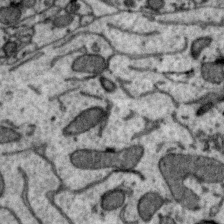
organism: Zebra finch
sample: Brain